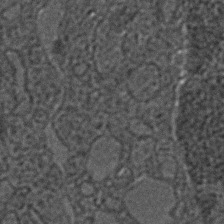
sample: Trachea